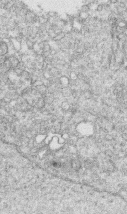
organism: Human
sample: HeLa cell HIV synapse